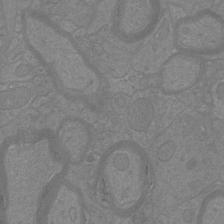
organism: Mouse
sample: Cortical neurons